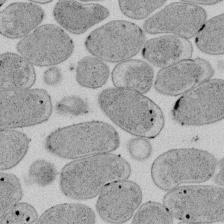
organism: E. coli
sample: Bacterial nucleoid